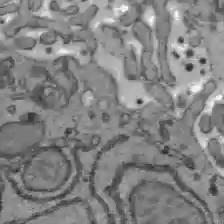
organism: C57BL Mouse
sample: Liver